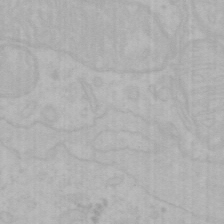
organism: Mouse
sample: Choroid plexus